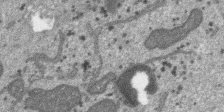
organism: Human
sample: Lung epithelial cells infected with SARS-CoV-2